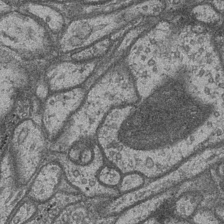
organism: Drosophila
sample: Optic medulla